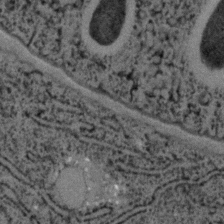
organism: C. elegans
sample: C. elegans embryo